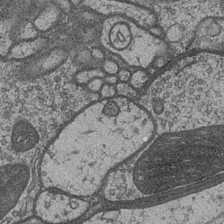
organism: Drosophila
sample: Optic medulla